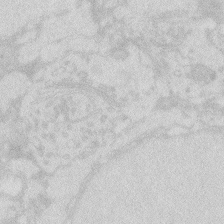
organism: Zebrafish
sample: Macrophage